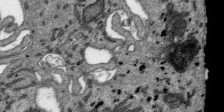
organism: Human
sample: Lung epithelial cells, uninfected (mock) control